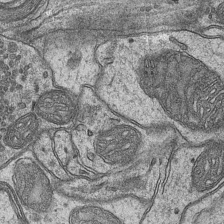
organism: Mouse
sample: CA1 Hippocampus